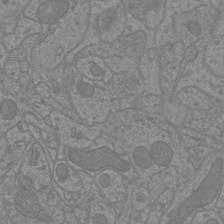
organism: Mouse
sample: Cortical neurons